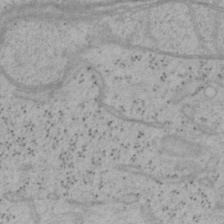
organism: Human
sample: HeLa cells